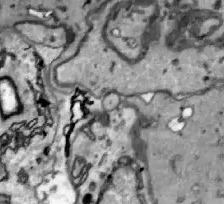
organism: Zebrafish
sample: Actinotrichia fibers